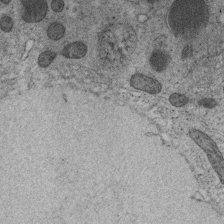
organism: C. elegans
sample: C. elegans embryo early stage